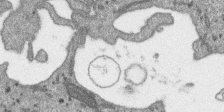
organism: Human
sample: Lung epithelial cells infected with SARS-CoV-2